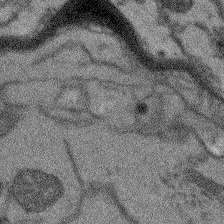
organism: Arabidopsis thaliana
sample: Root tip